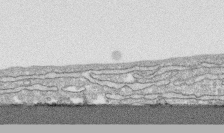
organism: Human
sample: CRL-1474